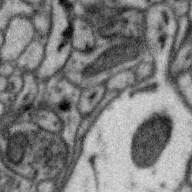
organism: Zebra finch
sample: Brain